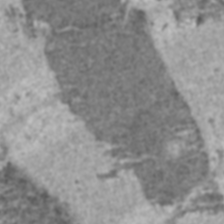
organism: C57BL Mouse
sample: Heart